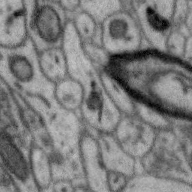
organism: Zebra finch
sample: Brain